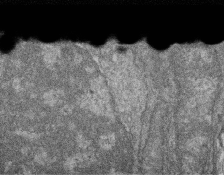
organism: Zebrafish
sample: Cilia; retinal pigment epithelium